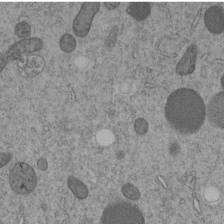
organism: C. elegans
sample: C. elegans embryo early stage